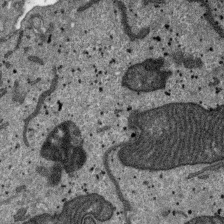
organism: Human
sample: Lung epithelial cells, uninfected (mock) control